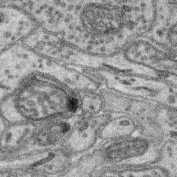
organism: Mouse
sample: Retina